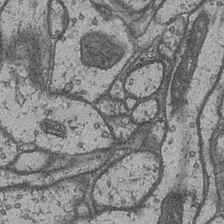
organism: Drosophila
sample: Optic medulla